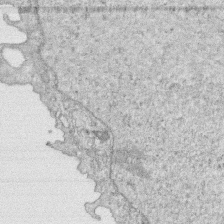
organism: Human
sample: HeLa cell HIV synapse